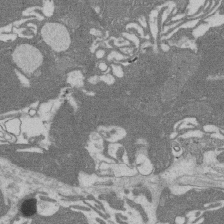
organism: Rat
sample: Salivary granule